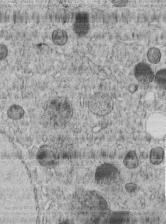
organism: C. elegans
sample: C. elegans embryo early stage